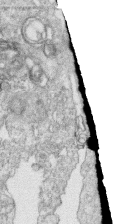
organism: Human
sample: HeLa cell HIV synapse